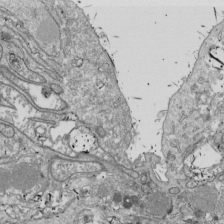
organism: Drosophila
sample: Cell division; meiosis; drosophila spermatocytes